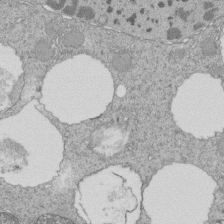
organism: Tetrahymena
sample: Cilia in tetrahymena